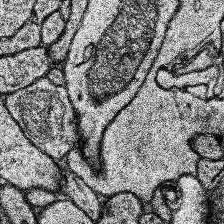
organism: Human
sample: Temporal Lobe